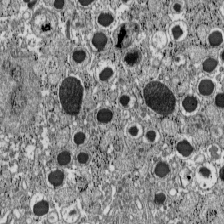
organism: C57BL Mouse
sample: Pancreatic islet